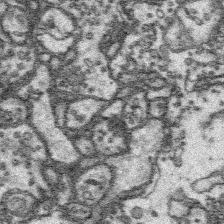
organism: Platynereis dumerilii